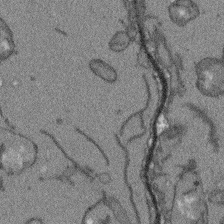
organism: Arabidopsis thaliana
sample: Root tip